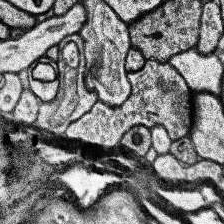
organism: Human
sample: Temporal Lobe